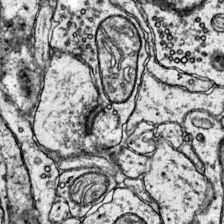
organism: Mouse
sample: Primary visual cortex